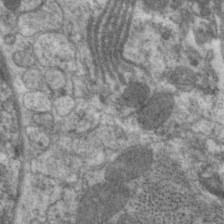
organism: C. elegans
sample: Pharynx